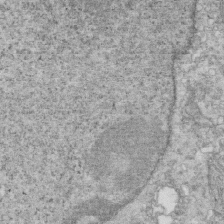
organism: Mouse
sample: Multiciliated cells